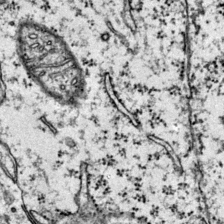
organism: Mouse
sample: Primary visual cortex